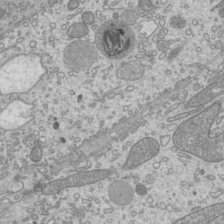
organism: Mouse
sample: Cilia; mouse epididymis